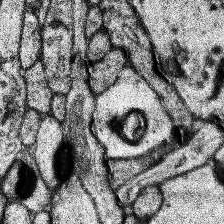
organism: Human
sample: Temporal Lobe